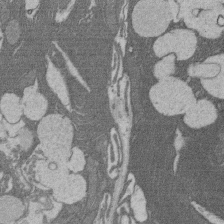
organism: Rat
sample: Salivary granule